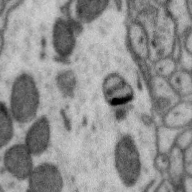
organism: Zebra finch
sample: Brain